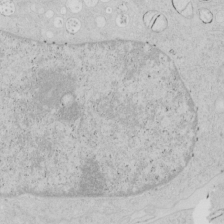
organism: Human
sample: Mitochondria in HCT116 cells